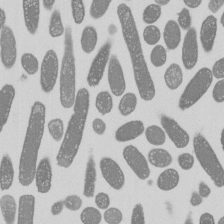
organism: E. coli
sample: Bacterial nucleoid